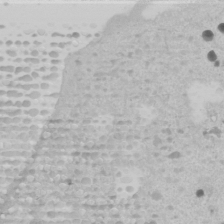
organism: Human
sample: Mitochondria in U2OS cells